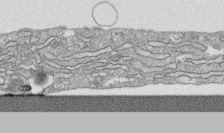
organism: Human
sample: CRL-1474